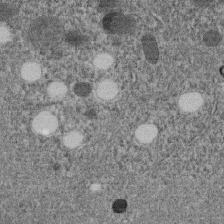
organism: C. elegans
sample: C. elegans embryo early stage